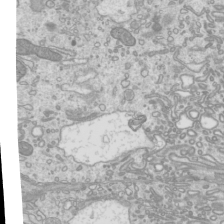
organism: Mouse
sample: Cilia; mouse epididymis